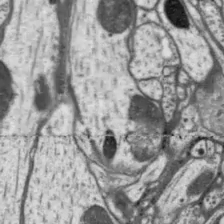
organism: Drosophila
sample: Protocerebral bridge